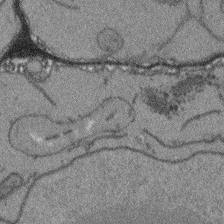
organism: Arabidopsis thaliana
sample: Root tip